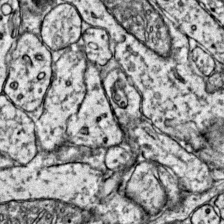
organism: Mouse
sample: Primary visual cortex